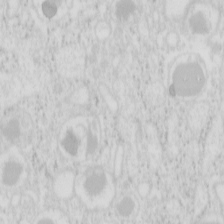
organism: Mouse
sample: Pancreas